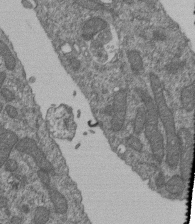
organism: Human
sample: Retinal organoid Rod and Cone cells